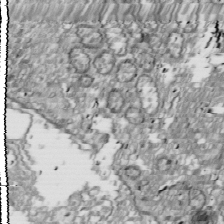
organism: Drosophila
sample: Cell division; meiosis; drosophila spermatocytes